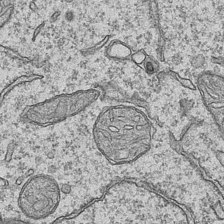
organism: Mouse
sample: CA1 Hippocampus